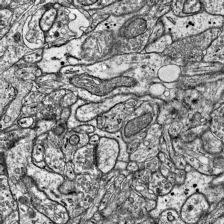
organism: Mouse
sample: Visual Cortex